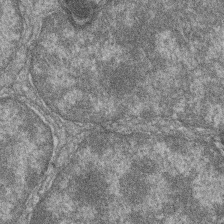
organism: Zebrafish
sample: Cilia; retinal pigment epithelium